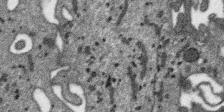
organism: Human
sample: Lung epithelial cells infected with SARS-CoV-2